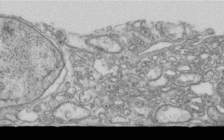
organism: Human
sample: Centriole in RPE cells